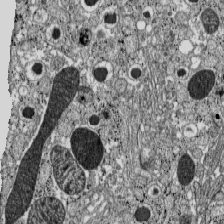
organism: C57BL Mouse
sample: Pancreatic islet